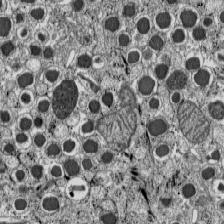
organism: C57BL Mouse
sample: Pancreatic islet